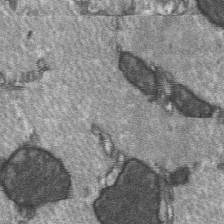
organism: C57BL Mouse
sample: Soleus